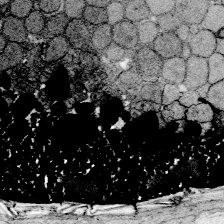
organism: Zebrafish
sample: Whole-Brain